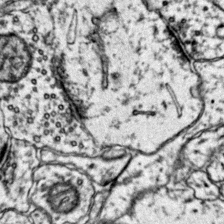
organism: Mouse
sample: Primary visual cortex